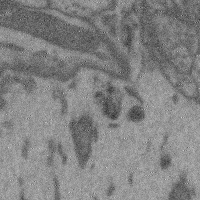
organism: Mouse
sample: Cerebral cortex